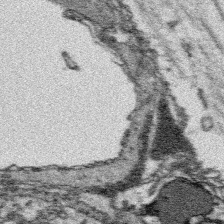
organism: Platynereis dumerilii